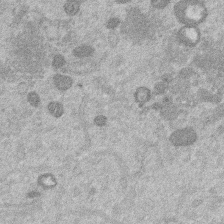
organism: Mouse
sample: Dividing mouse embryo 1 cell stage